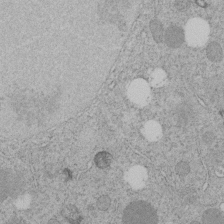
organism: C. elegans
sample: C. elegans embryo early stage